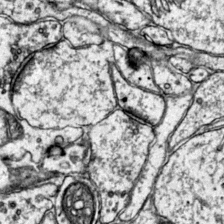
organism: Mouse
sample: Primary visual cortex